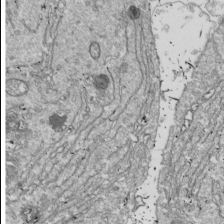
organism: Drosophila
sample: Cell division; meiosis; drosophila spermatocytes